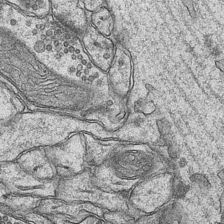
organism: Mouse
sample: CA1 Hippocampus